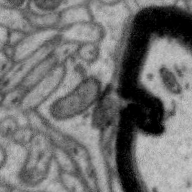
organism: Zebra finch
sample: Brain